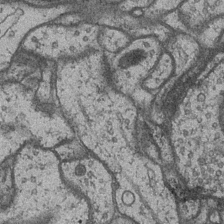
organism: Drosophila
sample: Optic medulla